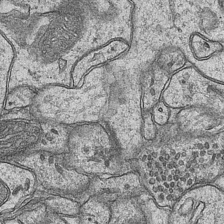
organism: Mouse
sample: CA1 Hippocampus